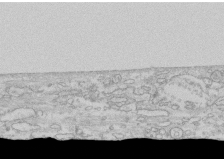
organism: Human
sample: CRL-1474